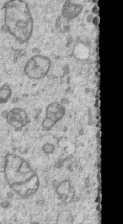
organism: Human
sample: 1205lu cells